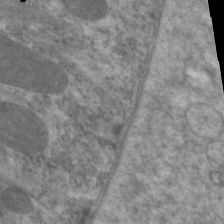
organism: C. elegans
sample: Pharynx